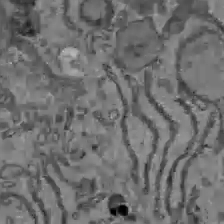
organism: C57BL Mouse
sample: Liver